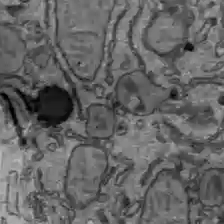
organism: C57BL Mouse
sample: Liver